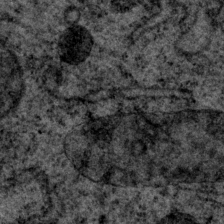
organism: P. pacificus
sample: Pharynx